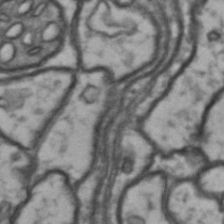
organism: Drosophila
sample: Brain